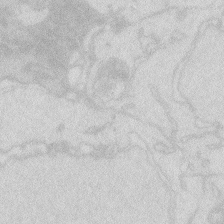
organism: Zebrafish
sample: Macrophage